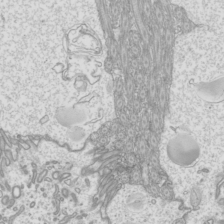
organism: Mouse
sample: Cilia; mouse epididymis